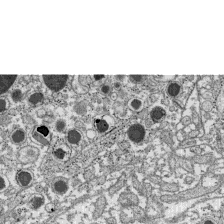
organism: C57BL Mouse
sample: Pancreatic islet